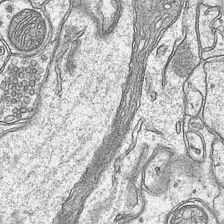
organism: Mouse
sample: CA1 Hippocampus